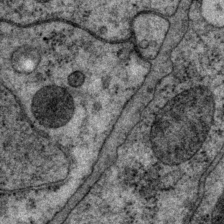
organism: P. pacificus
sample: Pharynx